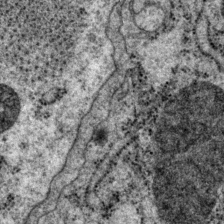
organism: P. pacificus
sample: Pharynx